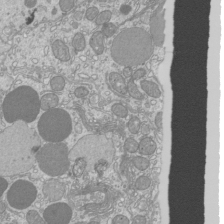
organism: Mouse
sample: Cilia; mouse epididymis